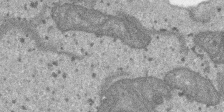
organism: Human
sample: Lung epithelial cells infected with SARS-CoV-2